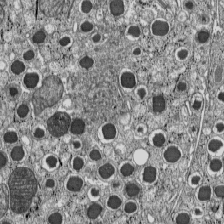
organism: C57BL Mouse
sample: Pancreatic islet